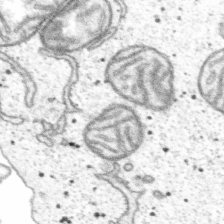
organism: Human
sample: HeLa cells